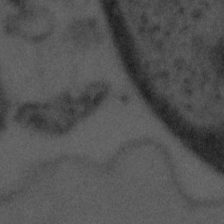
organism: Tuwongella immobilis